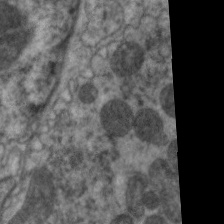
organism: C. elegans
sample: Pharynx